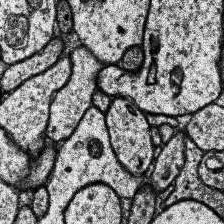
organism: Human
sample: Temporal Lobe